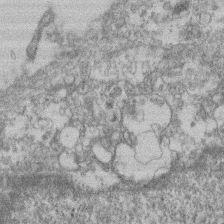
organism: Mouse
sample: T cell stromal cell synapse